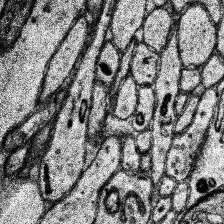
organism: Human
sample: Temporal Lobe